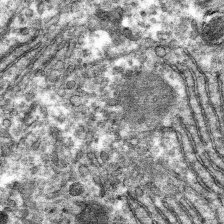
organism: Mouse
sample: Mouse hepatocytes